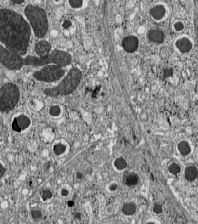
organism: C57BL Mouse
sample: Pancreatic islet